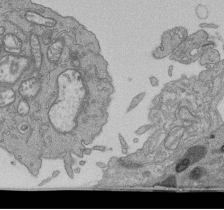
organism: Human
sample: Retinal organoid Rod and Cone cells